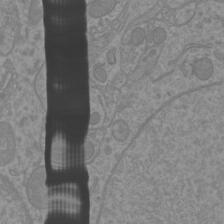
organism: Mouse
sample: Cortical neurons